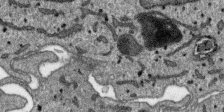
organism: Human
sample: Lung epithelial cells, uninfected (mock) control